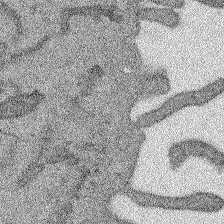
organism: Human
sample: HeLa cells